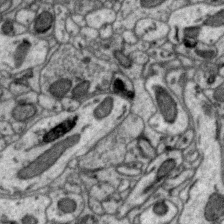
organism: Zebra finch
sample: Brain